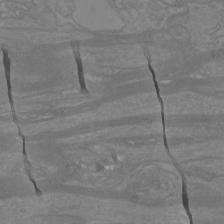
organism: Mouse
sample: Cortical neurons